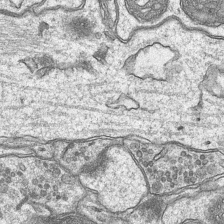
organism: Mouse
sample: CA1 Hippocampus